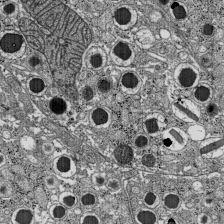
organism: C57BL Mouse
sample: Pancreatic islet